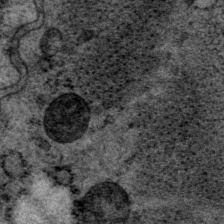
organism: P. pacificus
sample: Pharynx